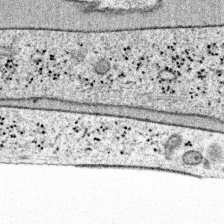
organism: Human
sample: HeLa cells